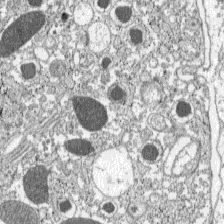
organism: C57BL Mouse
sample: Pancreatic islet